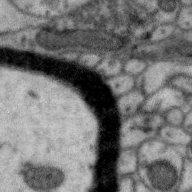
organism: Zebra finch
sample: Brain